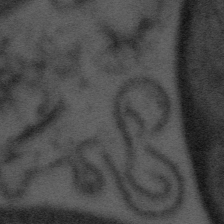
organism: Tuwongella immobilis